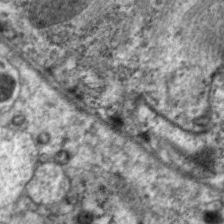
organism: C. elegans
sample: Pharynx